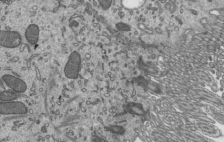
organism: Mouse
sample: Mouse epididymis efferent ductule cilia